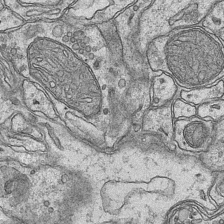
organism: Mouse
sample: CA1 Hippocampus